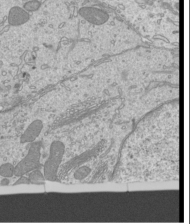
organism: Mouse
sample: Cilia; mouse epididymis